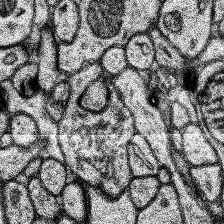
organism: Human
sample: Temporal Lobe